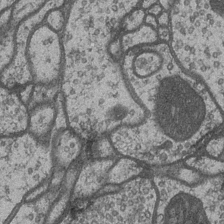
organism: Drosophila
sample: Optic medulla